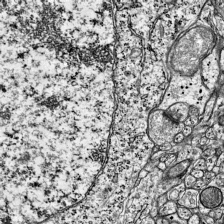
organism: Mouse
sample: Visual Cortex